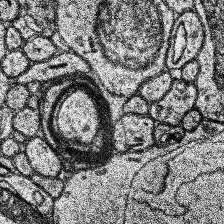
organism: Human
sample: Temporal Lobe